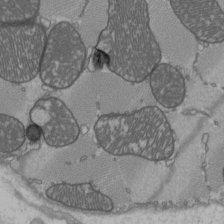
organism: C57BL Mouse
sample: Heart